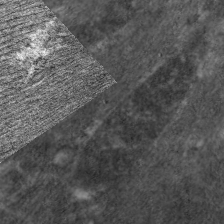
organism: C. elegans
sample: Pharynx